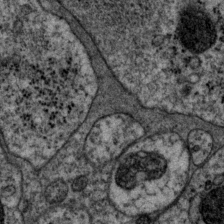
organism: P. pacificus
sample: Pharynx